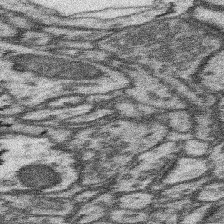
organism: Mouse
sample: Somatosensory cortex neuropil